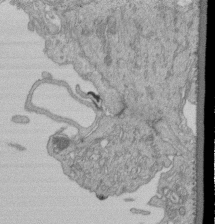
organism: Human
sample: Retinal organoid Rod and Cone cells